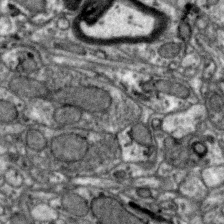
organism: Zebra finch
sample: Brain